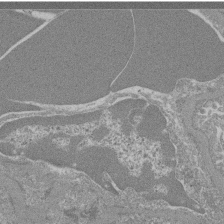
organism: Mouse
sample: Glomerulus